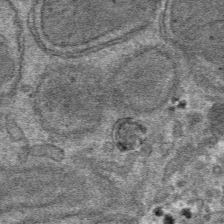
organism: Mouse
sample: Mouse hepatocytes